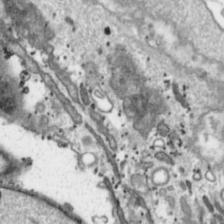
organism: Toxoplasma gondii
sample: Parasites in a vacuole inside a host cell